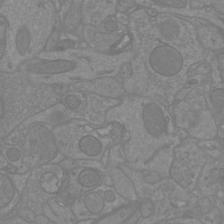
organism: Mouse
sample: Cortical neurons